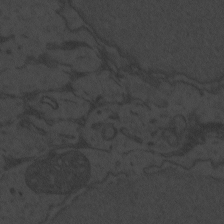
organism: Zebrafish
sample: Macrophage infected with Toxoplasma gondii